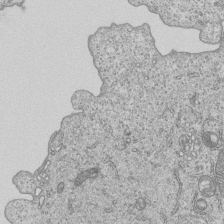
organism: Human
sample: MDA-MB-231 cells